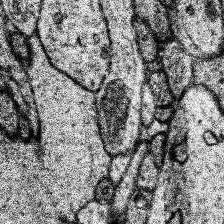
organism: Human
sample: Temporal Lobe